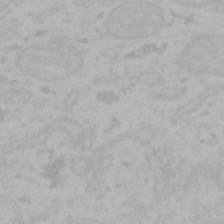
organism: Mouse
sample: Choroid plexus